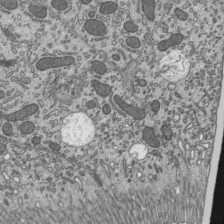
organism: Mouse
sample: Mouse epididymis efferent ductule cilia